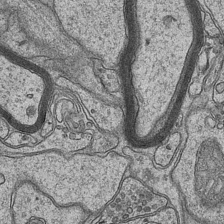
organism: Mouse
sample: CA1 Hippocampus